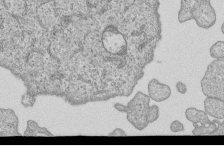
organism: Human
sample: MDA-MB-231 cells